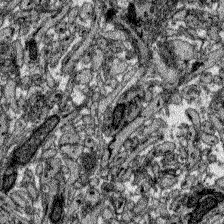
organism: Zebrafish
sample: Larval olfactory bulb